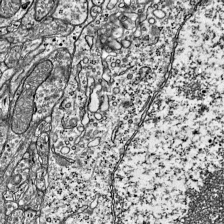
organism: Mouse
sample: Visual Cortex